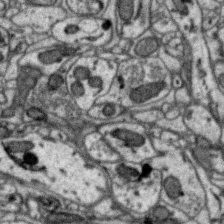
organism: Zebra finch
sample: Brain